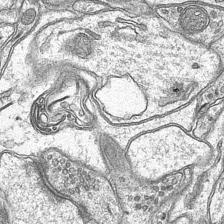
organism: Mouse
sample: CA1 Hippocampus